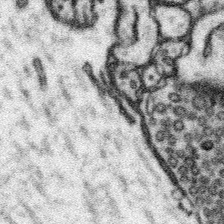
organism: Mouse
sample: Somatosensory cortex neuropil